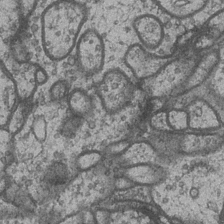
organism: Drosophila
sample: Optic medulla